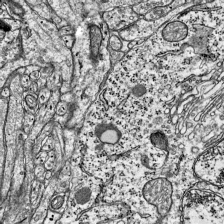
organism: Mouse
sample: Visual Cortex